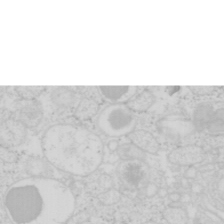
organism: Mouse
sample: Pancreas